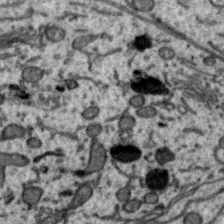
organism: Zebra finch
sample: Brain